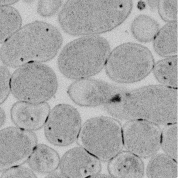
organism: E. coli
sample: Bacterial nucleoid